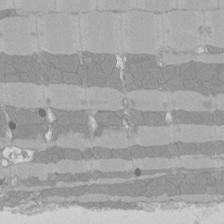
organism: Rat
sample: Left ventricle